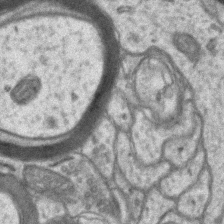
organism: Mouse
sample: CA1 Hippocampus